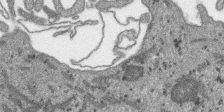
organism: Human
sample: Lung epithelial cells infected with SARS-CoV-2